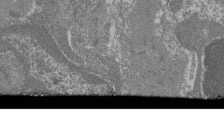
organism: Mouse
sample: Glomerulus